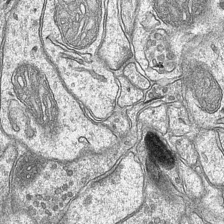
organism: Mouse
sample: CA1 Hippocampus